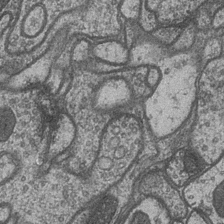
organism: Drosophila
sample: Optic medulla